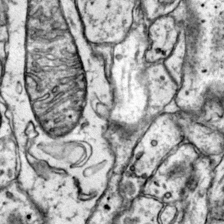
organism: Mouse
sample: Primary visual cortex